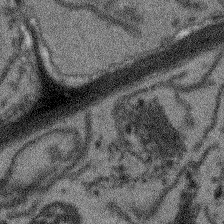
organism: Arabidopsis thaliana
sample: Root tip